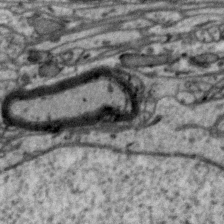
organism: Zebra finch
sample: Brain